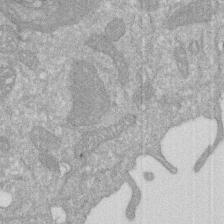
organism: Human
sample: HIV infected U937 cells